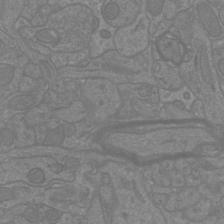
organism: Mouse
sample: Cortical neurons